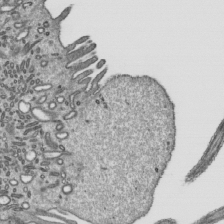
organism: Mouse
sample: Mouse epididymis efferent ductule cilia